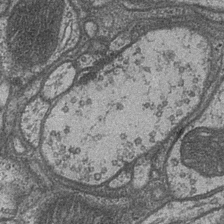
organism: Drosophila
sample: Optic medulla